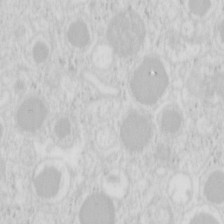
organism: Mouse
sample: Pancreas